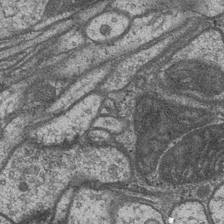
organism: Drosophila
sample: Optic medulla